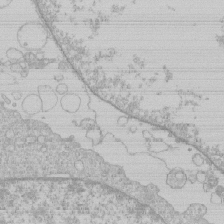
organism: Human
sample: Macrophage cells